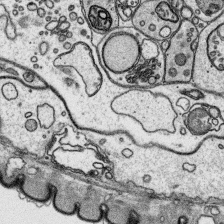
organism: Platynereis dumerilii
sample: Parapodia